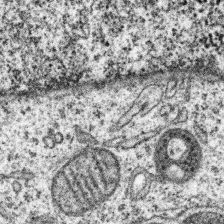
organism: Human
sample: HeLa cells